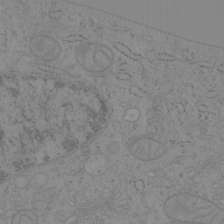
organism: Human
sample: HeLa cells